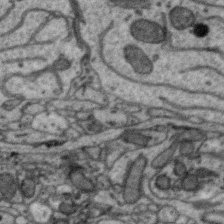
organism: Zebra finch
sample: Brain